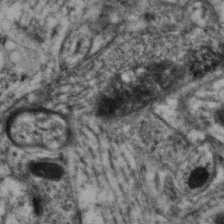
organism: Mouse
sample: Neocortex